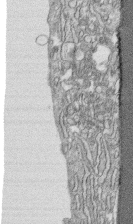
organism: Human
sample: CRL-1474